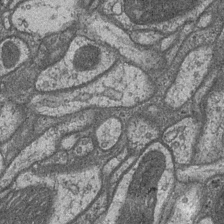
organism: Drosophila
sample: Optic medulla